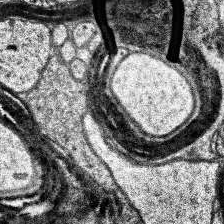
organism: Human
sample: Temporal Lobe